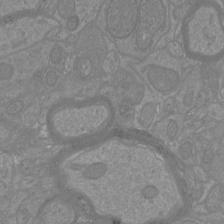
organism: Mouse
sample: Cortical neurons